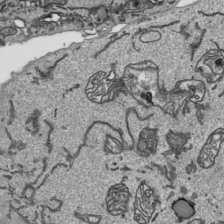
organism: Human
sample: Mitochondria in HCT116 cells